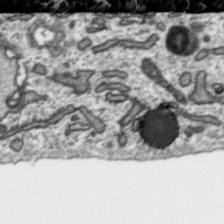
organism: Toxoplasma gondii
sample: Parasites in a vacuole inside a host cell